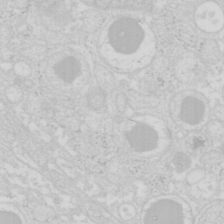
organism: Mouse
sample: Pancreas